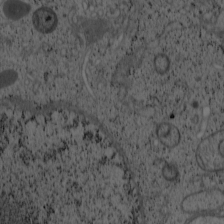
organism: African green monkey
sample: COS-7 cells